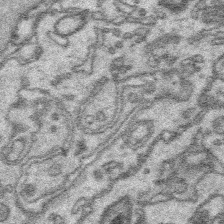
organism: Platynereis dumerilii